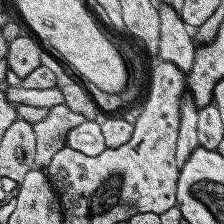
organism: Human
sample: Temporal Lobe